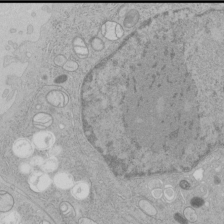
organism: Human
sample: Mitochondria in HCT116 cells